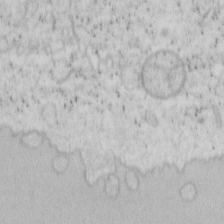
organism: Human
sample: HeLa cells